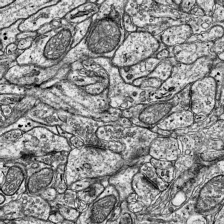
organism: Mouse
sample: Visual Cortex